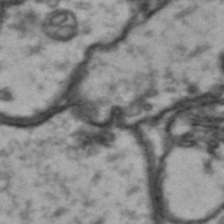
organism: Drosophila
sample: Brain